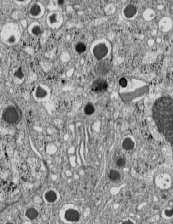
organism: C57BL Mouse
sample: Pancreatic islet